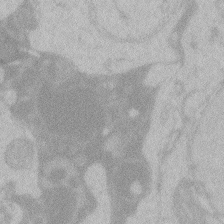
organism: Zebrafish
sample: Macrophage infected with Toxoplasma gondii